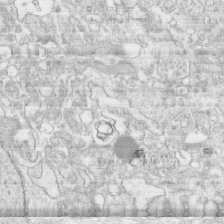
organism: Human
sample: CRL-1474